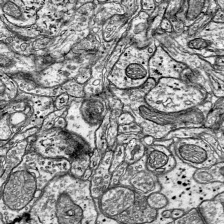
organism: Mouse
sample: Visual Cortex